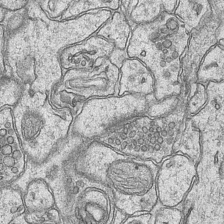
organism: Mouse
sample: CA1 Hippocampus